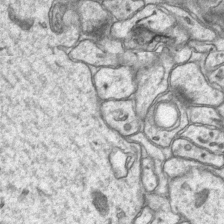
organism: Mouse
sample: CA1 Hippocampus